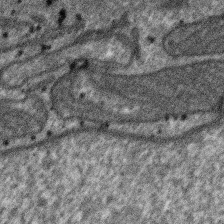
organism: Human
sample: Lung epithelial cells infected with SARS-CoV-2